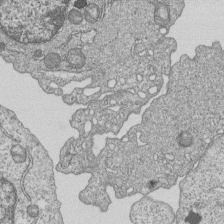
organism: Human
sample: MDA-MB-231 cells